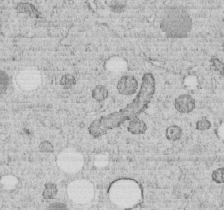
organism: C. elegans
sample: C. elegans embryo early stage